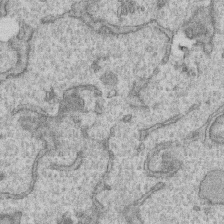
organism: Human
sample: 1205lu cells